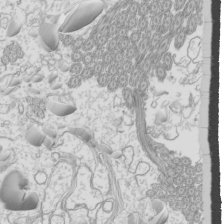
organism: Mouse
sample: Cilia; mouse epididymis